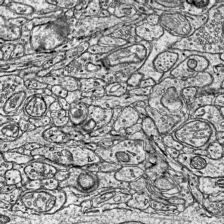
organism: Mouse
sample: Visual Cortex